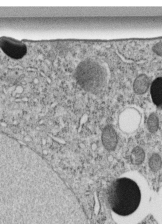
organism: C. elegans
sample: C. elegans embryo early stage